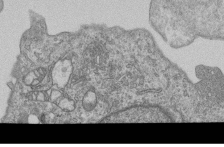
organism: Human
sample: MDA-MB-231 cells